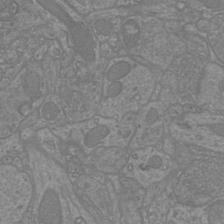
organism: Mouse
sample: Cortical neurons